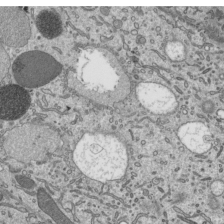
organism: Mouse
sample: Mouse epididymis efferent ductule cilia